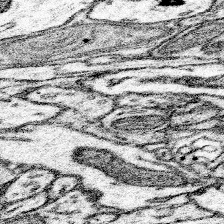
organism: Mouse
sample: Somatosensory cortex neuropil